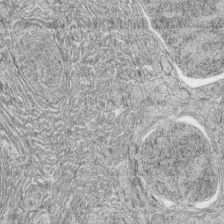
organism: Zebrafish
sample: synaptic ribbons in rod cells and cone cells